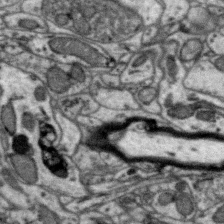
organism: Zebra finch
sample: Brain